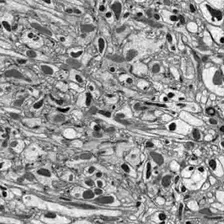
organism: Drosophila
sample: Optic lobe